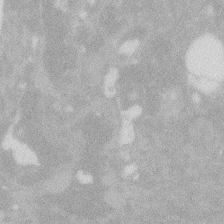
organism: Zebrafish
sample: Macrophage